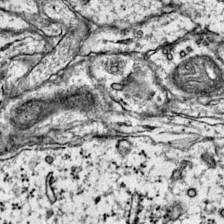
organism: Mouse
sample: Primary visual cortex